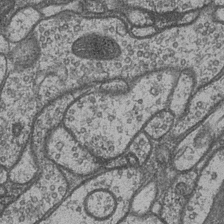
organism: Drosophila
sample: Optic medulla